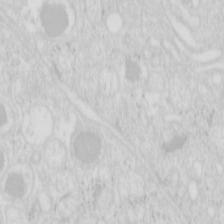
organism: Mouse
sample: Pancreas